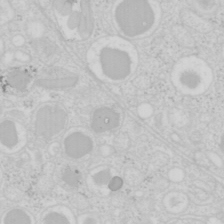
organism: Mouse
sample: Pancreas